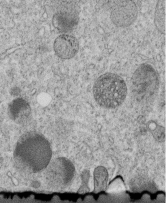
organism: C. elegans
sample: C. elegans embryo early stage